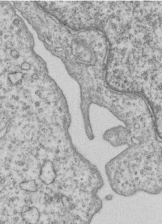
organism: Human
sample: MDA-MB-231 cells